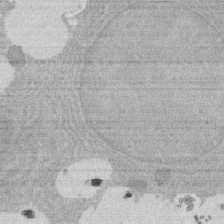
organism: Rat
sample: Salivary granule